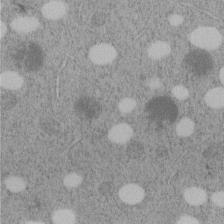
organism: C. elegans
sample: C. elegans embryo early stage